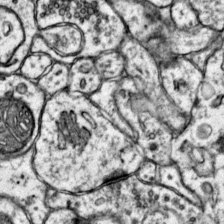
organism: Mouse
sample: Primary visual cortex